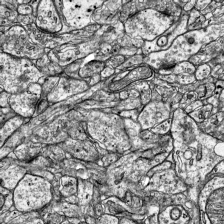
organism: Mouse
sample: Visual Cortex